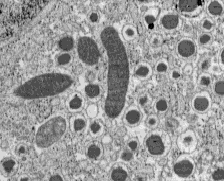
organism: C57BL Mouse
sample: Pancreatic islet